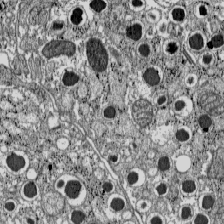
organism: C57BL Mouse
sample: Pancreatic islet